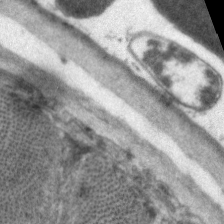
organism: C. elegans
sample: Pharynx